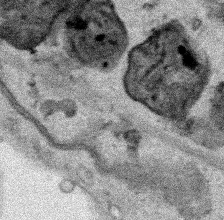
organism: Human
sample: Mitochondria in HCT116 cells